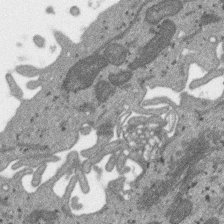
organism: Human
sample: Lung epithelial cells infected with SARS-CoV-2